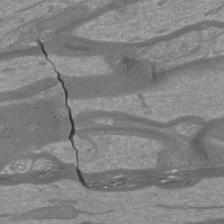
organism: Mouse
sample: Cortical neurons